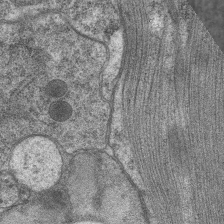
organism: C. elegans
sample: Pharynx